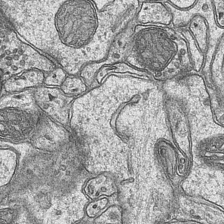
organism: Mouse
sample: CA1 Hippocampus